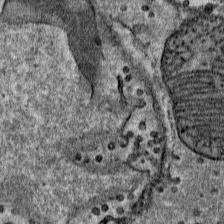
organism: Mouse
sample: Mouse Salivary gland